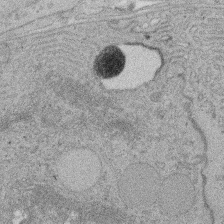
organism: Rat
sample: Salivary granule